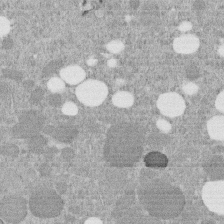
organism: C. elegans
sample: C. elegans embryo early stage